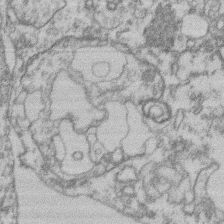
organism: Mouse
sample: T cell stromal cell synapse